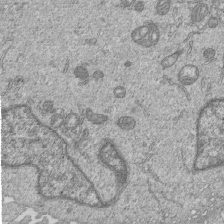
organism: Human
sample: MDA-MB-231 cells